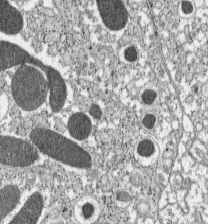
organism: C57BL Mouse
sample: Pancreatic islet